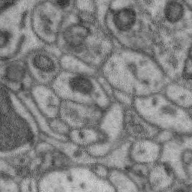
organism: Zebra finch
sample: Brain